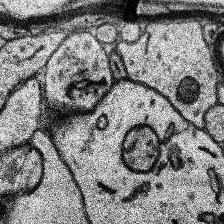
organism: Human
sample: Temporal Lobe